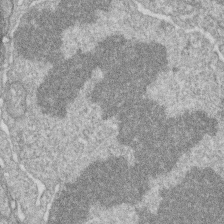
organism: Zebrafish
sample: Cilia; retinal pigment epithelium